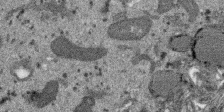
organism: Human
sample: Lung epithelial cells infected with SARS-CoV-2